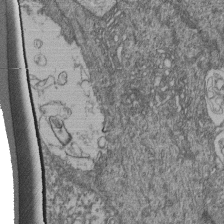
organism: Human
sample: Retinal organoid Rod and Cone cells